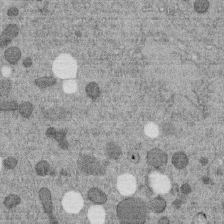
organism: C. elegans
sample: C. elegans embryo early stage